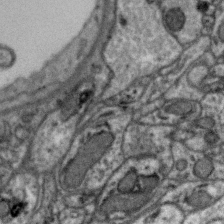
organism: Zebra finch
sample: Brain